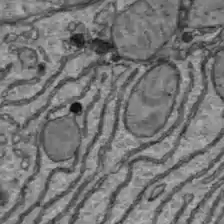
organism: C57BL Mouse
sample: Liver